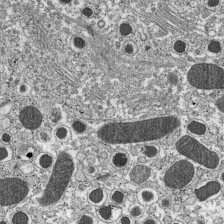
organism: C57BL Mouse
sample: Pancreatic islet